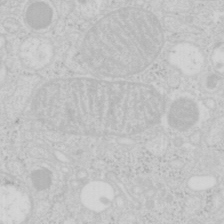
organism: Mouse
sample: Pancreas